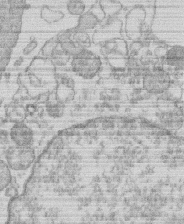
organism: Human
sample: Macrophage cells